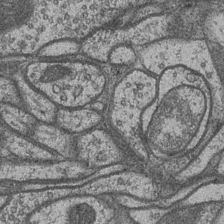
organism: Drosophila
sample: Optic medulla